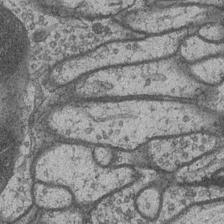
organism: Drosophila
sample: Optic medulla